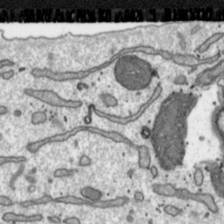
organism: Toxoplasma gondii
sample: Parasites in a vacuole inside a host cell